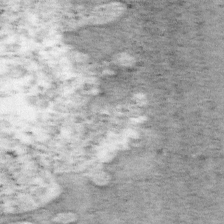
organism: Mouse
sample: OT-I killer T cells with ID8 ovarian cancer cells